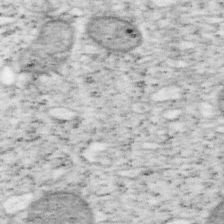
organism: Mouse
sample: OT-I killer T cells with ID8 ovarian cancer cells